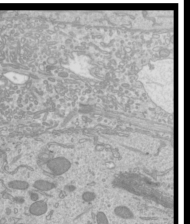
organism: Mouse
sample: Cilia; mouse epididymis